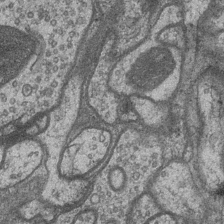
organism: Drosophila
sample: Optic medulla